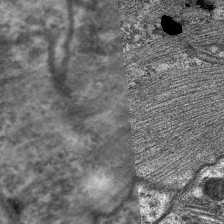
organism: C. elegans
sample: Pharynx